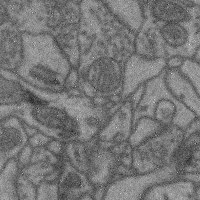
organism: Mouse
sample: Cerebral cortex